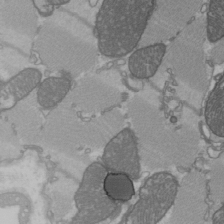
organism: C57BL Mouse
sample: Heart